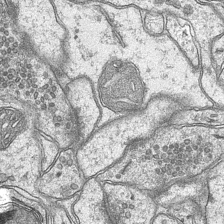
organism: Mouse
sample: CA1 Hippocampus